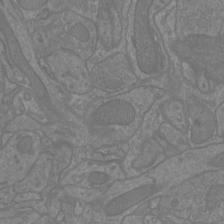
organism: Mouse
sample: Cortical neurons